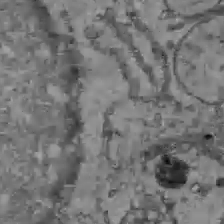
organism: C57BL Mouse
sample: Liver